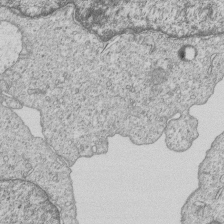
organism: Human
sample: MDA-MB-231 cells